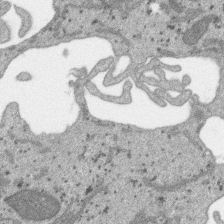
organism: Human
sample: Lung epithelial cells infected with SARS-CoV-2